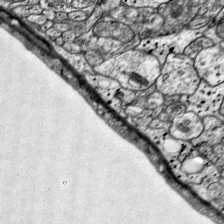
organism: Mouse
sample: Visual Cortex